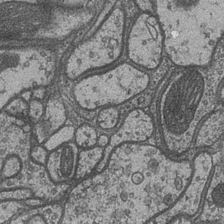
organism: Drosophila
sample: Optic medulla